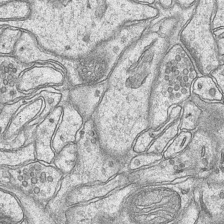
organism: Mouse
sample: CA1 Hippocampus